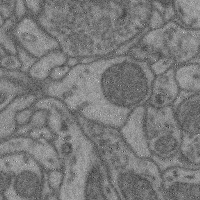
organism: Mouse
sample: Cerebral cortex